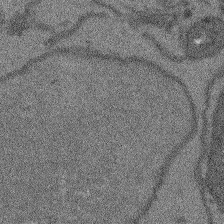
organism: Arabidopsis thaliana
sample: Root tip